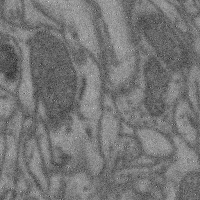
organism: Mouse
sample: Cerebral cortex